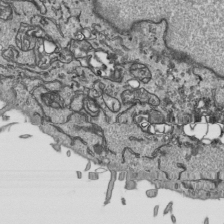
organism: Human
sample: Mitochondria in HCT116 cells